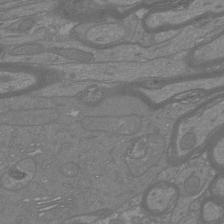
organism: Mouse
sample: Cortical neurons